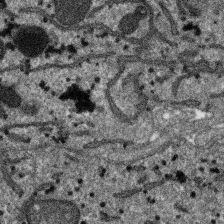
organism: Human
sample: Lung epithelial cells infected with SARS-CoV-2